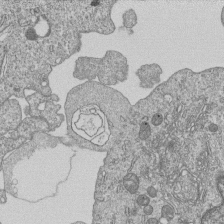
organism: Human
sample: MDA-MB-231 cells